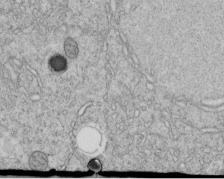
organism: C. elegans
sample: C. elegans embryo early stage